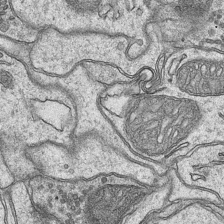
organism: Mouse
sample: CA1 Hippocampus